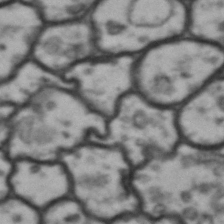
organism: Drosophila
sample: Brain